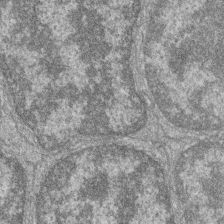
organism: Zebrafish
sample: Cilia; retinal pigment epithelium